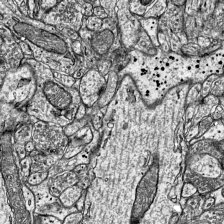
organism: Mouse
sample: Visual Cortex